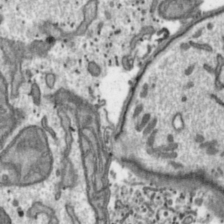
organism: Toxoplasma gondii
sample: Parasites in a vacuole inside a host cell